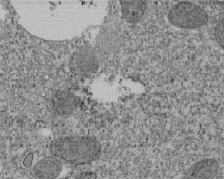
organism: Tetrahymena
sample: Cilia in tetrahymena